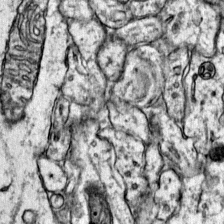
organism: Mouse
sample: Primary visual cortex